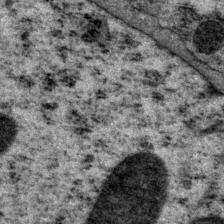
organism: P. pacificus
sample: Pharynx